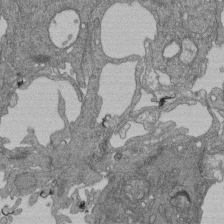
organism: Human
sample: Retinal organoid Rod and Cone cells